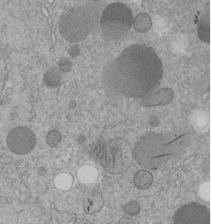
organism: C. elegans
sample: C. elegans embryo early stage